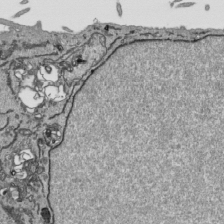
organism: Human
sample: Mitochondria in HCT116 cells